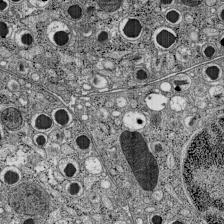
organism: C57BL Mouse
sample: Pancreatic islet